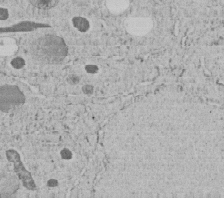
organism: C. elegans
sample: C. elegans embryo early stage